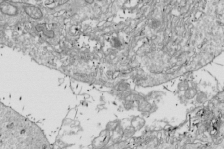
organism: Drosophila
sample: Cell division; meiosis; drosophila spermatocytes